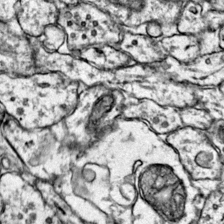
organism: Mouse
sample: Primary visual cortex